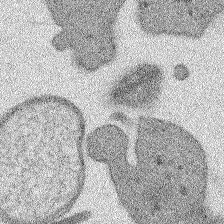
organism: Human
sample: HeLa cells